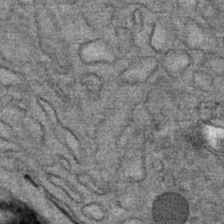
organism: Mouse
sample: Mouse Salivary gland